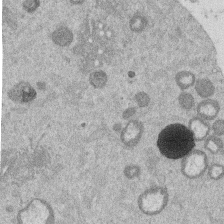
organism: Mouse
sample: Dividing mouse embryo 1 cell stage